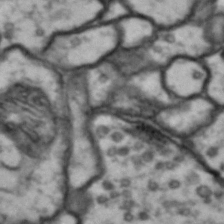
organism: Drosophila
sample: Brain